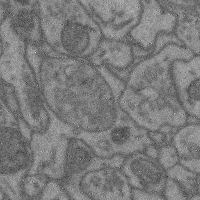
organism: Mouse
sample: Cerebral cortex